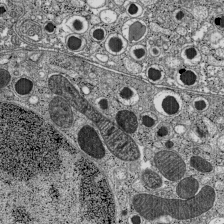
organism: C57BL Mouse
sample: Pancreatic islet